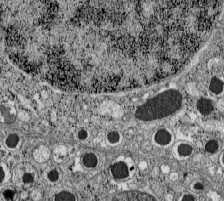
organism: C57BL Mouse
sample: Pancreatic islet